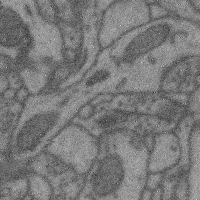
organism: Mouse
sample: Cerebral cortex